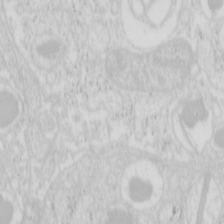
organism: Mouse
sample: Pancreas